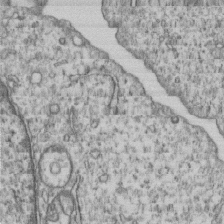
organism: Human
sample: MDA-MB-231 cells